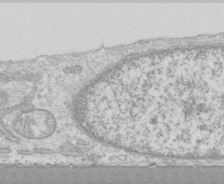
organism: Human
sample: CRL-1474